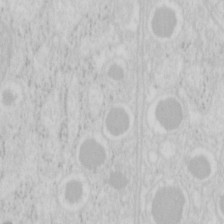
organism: Mouse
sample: Pancreas